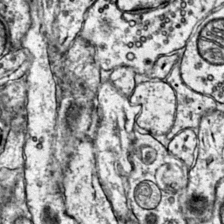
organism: Mouse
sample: Primary visual cortex